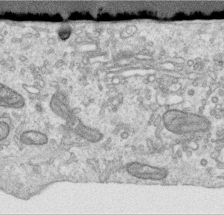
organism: Human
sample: Centriole in RPE cells